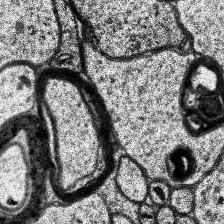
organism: Human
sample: Temporal Lobe